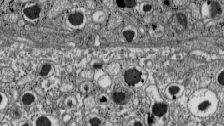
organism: C57BL Mouse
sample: Pancreatic islet